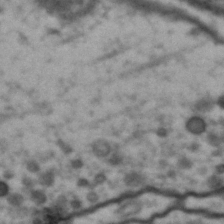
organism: Drosophila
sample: Brain